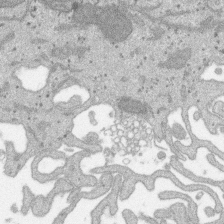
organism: Human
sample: Lung epithelial cells infected with SARS-CoV-2